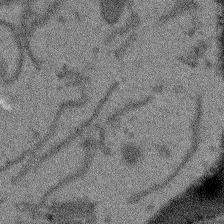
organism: Arabidopsis thaliana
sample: Root tip